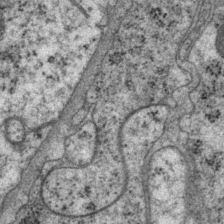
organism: P. pacificus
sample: Pharynx